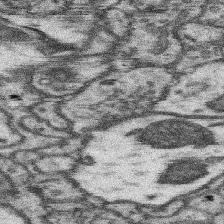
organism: Mouse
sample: Somatosensory cortex neuropil